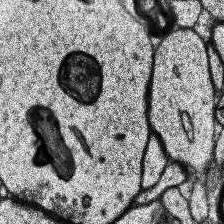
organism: Human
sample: Temporal Lobe